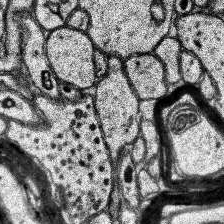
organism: Human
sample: Temporal Lobe